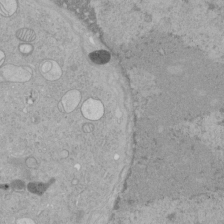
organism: Human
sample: Mitochondria in HCT116 cells